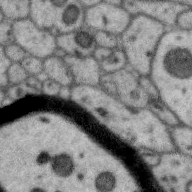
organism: Zebra finch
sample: Brain